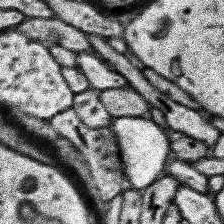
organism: Human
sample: Temporal Lobe